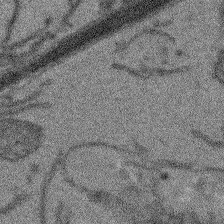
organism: Arabidopsis thaliana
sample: Root tip